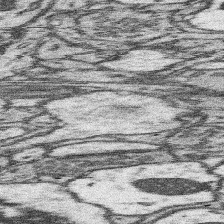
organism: Mouse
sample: Somatosensory cortex neuropil